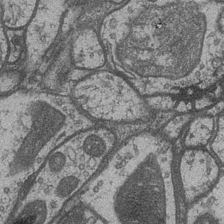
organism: Drosophila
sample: Optic medulla